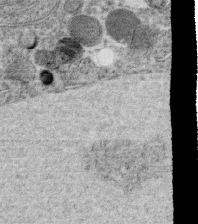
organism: C. elegans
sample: C. elegans oocyte; sperm cells